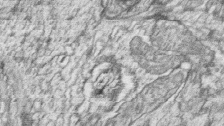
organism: Zebrafish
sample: synaptic ribbons in rod cells and cone cells